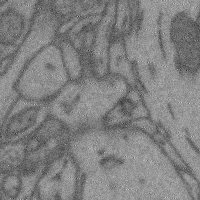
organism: Mouse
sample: Cerebral cortex